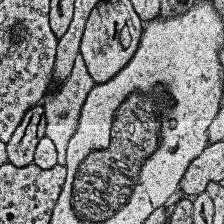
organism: Human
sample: Temporal Lobe